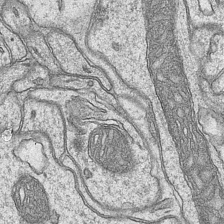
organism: Mouse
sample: CA1 Hippocampus